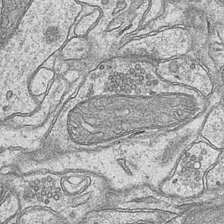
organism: Mouse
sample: CA1 Hippocampus